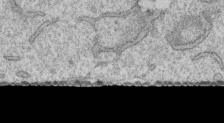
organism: Human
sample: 1205lu cells